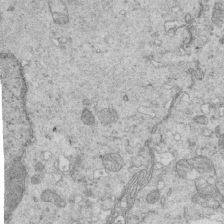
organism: Mouse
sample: Multiciliated cells